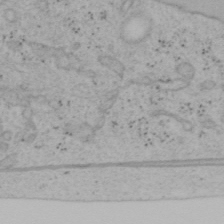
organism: Human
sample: HeLa cells